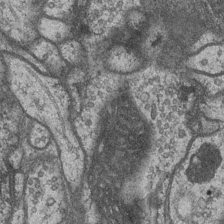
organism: Drosophila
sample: Optic medulla